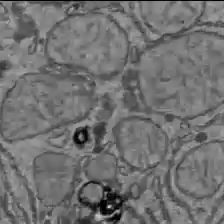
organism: C57BL Mouse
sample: Liver